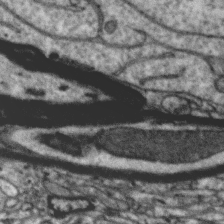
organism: Zebra finch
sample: Brain